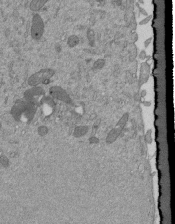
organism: Mouse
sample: ED-1 cell nuclei; centrioles